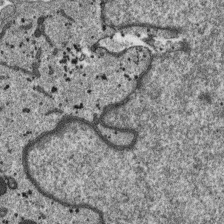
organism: Human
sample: Lung epithelial cells infected with SARS-CoV-2